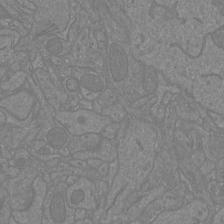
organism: Mouse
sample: Cortical neurons